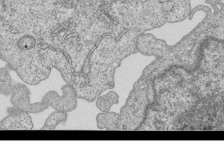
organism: Human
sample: MDA-MB-231 cells